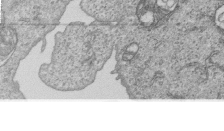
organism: Human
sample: MDA-MB-231 cells